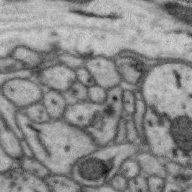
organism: Zebra finch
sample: Brain